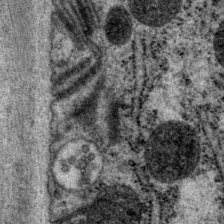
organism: P. pacificus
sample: Pharynx